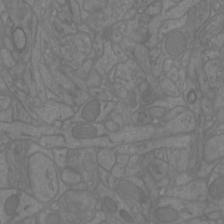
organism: Mouse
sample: Cortical neurons